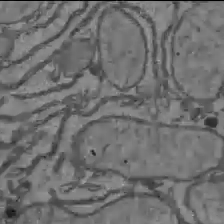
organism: C57BL Mouse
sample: Liver